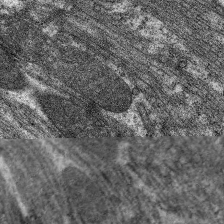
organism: C. elegans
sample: Pharynx